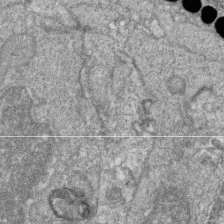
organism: Zebrafish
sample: Cilia; retinal pigment epithelium